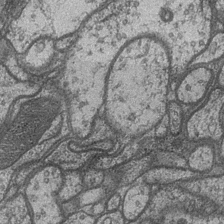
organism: Drosophila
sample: Optic medulla